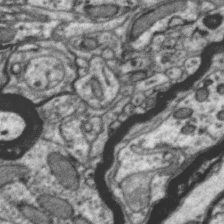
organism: Zebra finch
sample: Brain